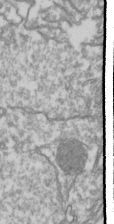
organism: Drosophila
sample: Cell division; meiosis; drosophila spermatocytes